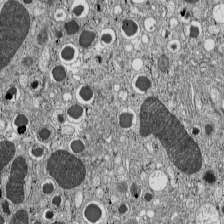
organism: C57BL Mouse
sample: Pancreatic islet